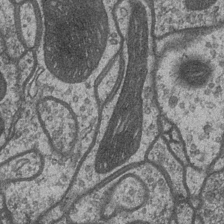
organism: Drosophila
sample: Optic medulla